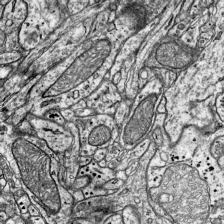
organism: Mouse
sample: Visual Cortex